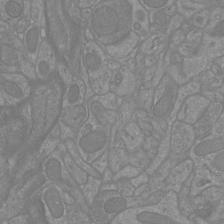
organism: Mouse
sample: Cortical neurons